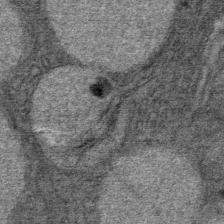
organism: Mouse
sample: Mouse Salivary gland